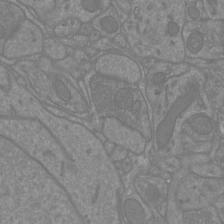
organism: Mouse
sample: Cortical neurons